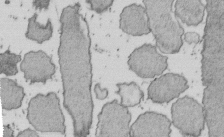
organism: E. coli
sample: Bacterial nucleoid